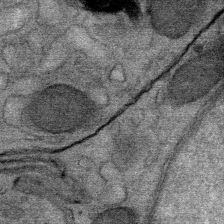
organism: Mouse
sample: Mouse Salivary gland